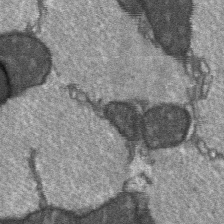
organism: C57BL Mouse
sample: Soleus